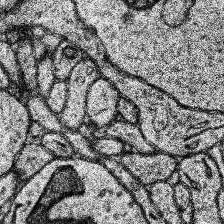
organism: Human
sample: Temporal Lobe